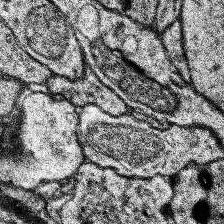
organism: Human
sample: Temporal Lobe